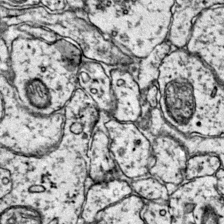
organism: Mouse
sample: Primary visual cortex